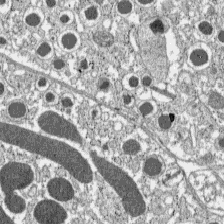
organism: C57BL Mouse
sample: Pancreatic islet